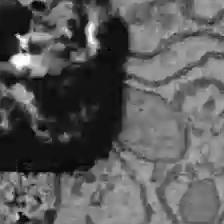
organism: C57BL Mouse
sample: Liver